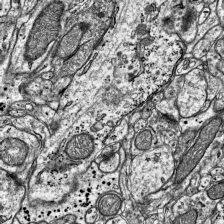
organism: Mouse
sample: Visual Cortex